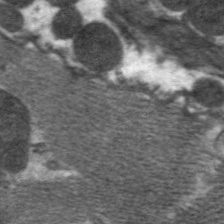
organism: C. elegans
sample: Pharynx